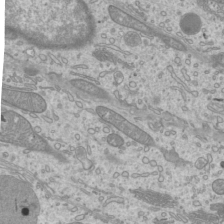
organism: Mouse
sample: Cilia; mouse epididymis